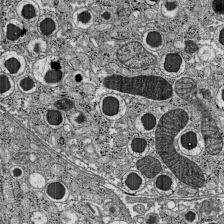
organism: C57BL Mouse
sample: Pancreatic islet